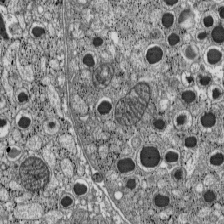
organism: C57BL Mouse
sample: Pancreatic islet